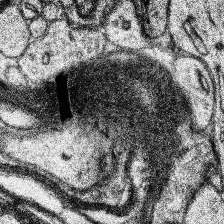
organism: Human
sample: Temporal Lobe